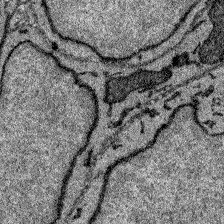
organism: Zebrafish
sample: Larval olfactory bulb